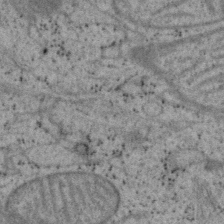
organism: Human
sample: HeLa cells